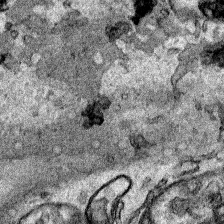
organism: Human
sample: Mitochondria in HCT116 cells